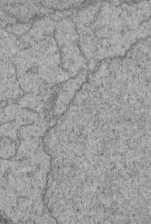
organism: Human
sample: Retinal organoid Rod and Cone cells